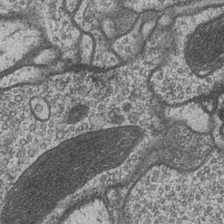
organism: Drosophila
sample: Optic medulla